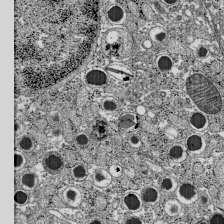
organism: C57BL Mouse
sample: Pancreatic islet